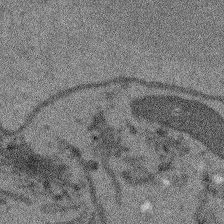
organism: Arabidopsis thaliana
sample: Root tip